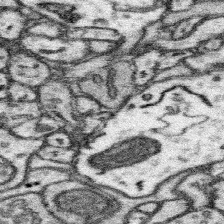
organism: Mouse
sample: Somatosensory cortex neuropil